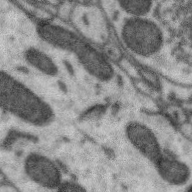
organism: Zebra finch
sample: Brain